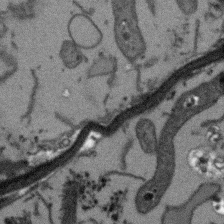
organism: Arabidopsis thaliana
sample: Root tip